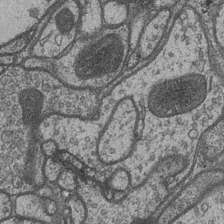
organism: Drosophila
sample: Optic medulla